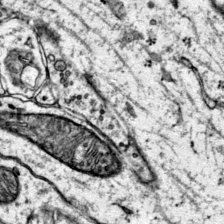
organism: Mouse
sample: Primary visual cortex